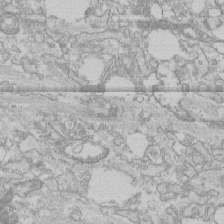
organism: Human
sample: CRL-1474